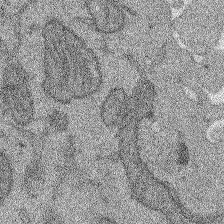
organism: Human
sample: HeLa cells